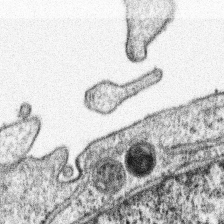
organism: Human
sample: HeLa cells